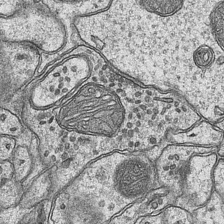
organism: Mouse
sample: CA1 Hippocampus